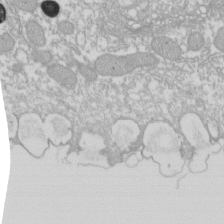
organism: Xenopus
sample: Cilia; centrioles in frog embryo cells